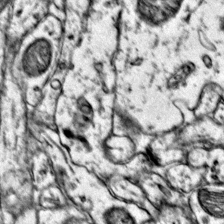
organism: Mouse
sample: Primary visual cortex